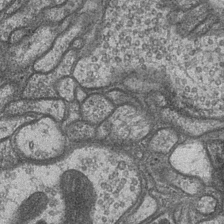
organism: Drosophila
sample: Optic medulla